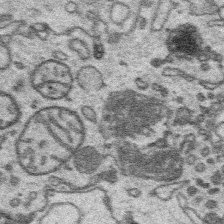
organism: Platynereis dumerilii